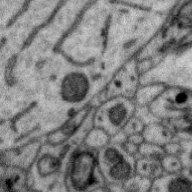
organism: Zebra finch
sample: Brain